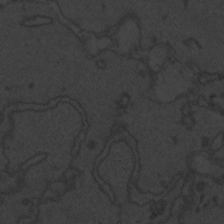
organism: Zebrafish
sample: Macrophage infected with Toxoplasma gondii